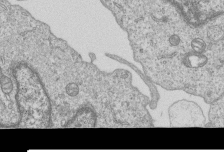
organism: Human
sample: MDA-MB-231 cells